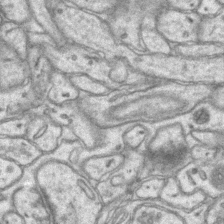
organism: Mouse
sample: CA1 Hippocampus